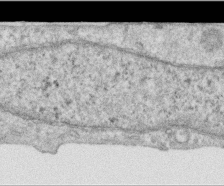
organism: Human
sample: Centriole in RPE cells